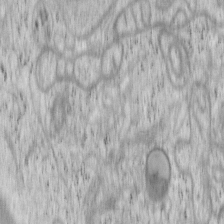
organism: Human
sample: HeLa cells